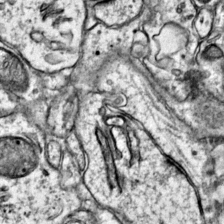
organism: Mouse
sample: Primary visual cortex